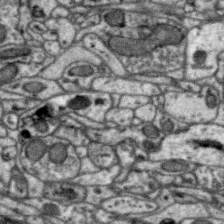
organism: Zebra finch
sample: Brain